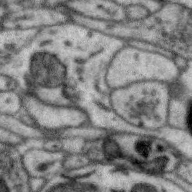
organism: Zebra finch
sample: Brain